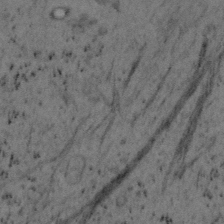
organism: Human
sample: HeLa cells